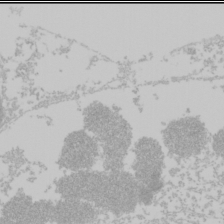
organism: Mouse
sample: Cancer cell death in ED-1 cells